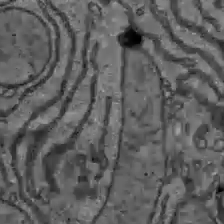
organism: C57BL Mouse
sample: Liver